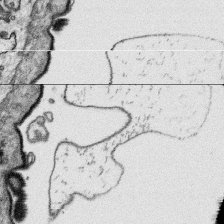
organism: Platynereis dumerilii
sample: Parapodia